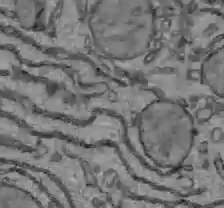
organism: C57BL Mouse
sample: Liver